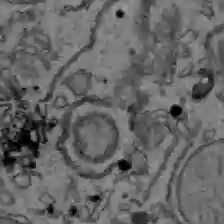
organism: C57BL Mouse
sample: Liver